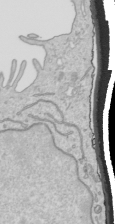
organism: Human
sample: Mitochondria in HCT116 cells